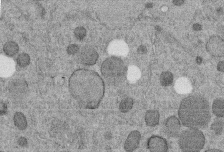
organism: C. elegans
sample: C. elegans embryo early stage